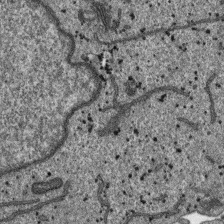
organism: Human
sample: Lung epithelial cells infected with SARS-CoV-2